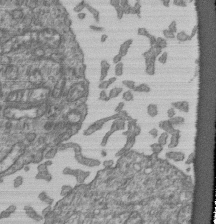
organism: Human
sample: Retinal organoid Rod and Cone cells